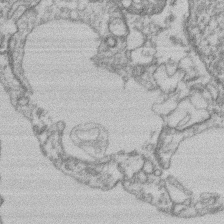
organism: Mouse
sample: T cell stromal cell synapse